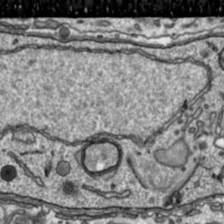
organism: Toxoplasma gondii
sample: Parasites in a vacuole inside a host cell